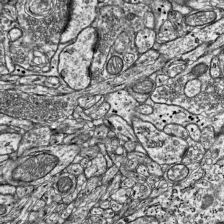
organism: Mouse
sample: Visual Cortex